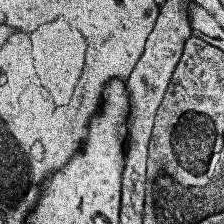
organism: Human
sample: Temporal Lobe